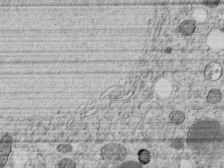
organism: C. elegans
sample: C. elegans embryo early stage